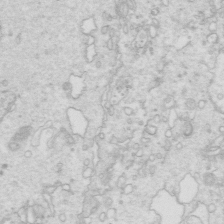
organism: Mouse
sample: Multiciliated cells